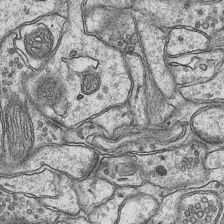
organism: Mouse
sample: CA1 Hippocampus